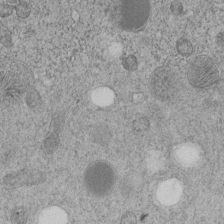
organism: C. elegans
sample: C. elegans embryo early stage